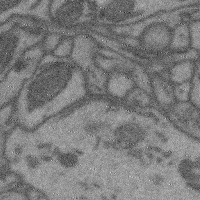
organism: Mouse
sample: Cerebral cortex